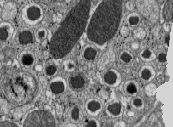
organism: C57BL Mouse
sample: Pancreatic islet